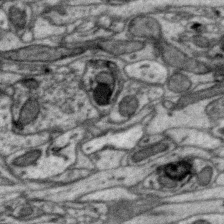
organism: Zebra finch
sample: Brain